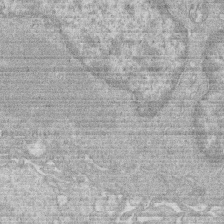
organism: Human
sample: Macrophage cells